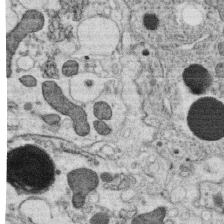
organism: C. elegans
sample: C. elegans oocyte; sperm cells